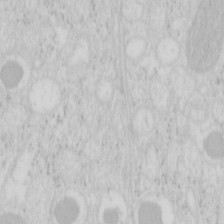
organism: Mouse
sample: Pancreas